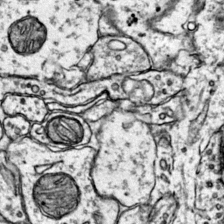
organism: Mouse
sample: Primary visual cortex